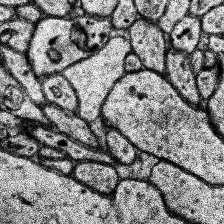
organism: Human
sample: Temporal Lobe